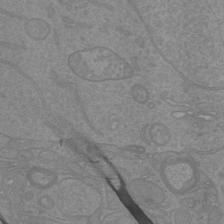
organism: Mouse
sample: Cortical neurons